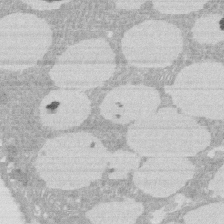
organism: Rat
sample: Salivary granule